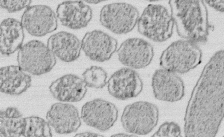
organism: E. coli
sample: Bacterial nucleoid